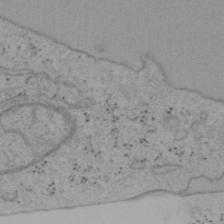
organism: Human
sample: HeLa cells